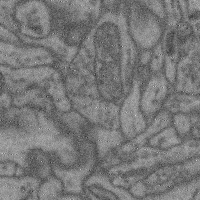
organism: Mouse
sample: Cerebral cortex